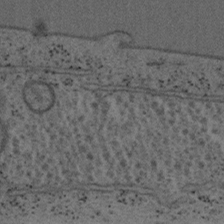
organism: Human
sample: HeLa cells